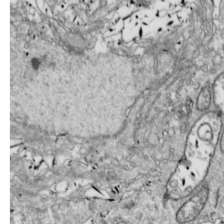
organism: Drosophila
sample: Cell division; meiosis; drosophila spermatocytes